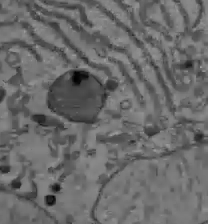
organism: C57BL Mouse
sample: Liver